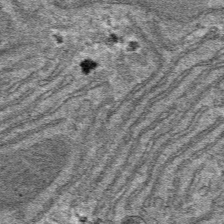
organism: Mouse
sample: Mouse hepatocytes